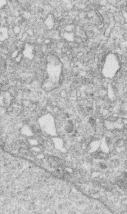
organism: Human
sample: HeLa cell HIV synapse